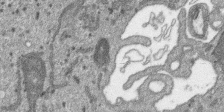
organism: Human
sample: Lung epithelial cells infected with SARS-CoV-2